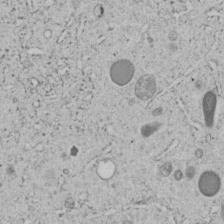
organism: C. elegans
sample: C. elegans embryo early stage